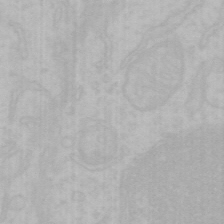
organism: Mouse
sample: Choroid plexus